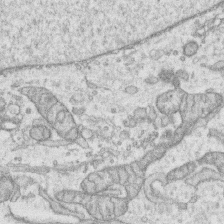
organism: Human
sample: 1205lu cells